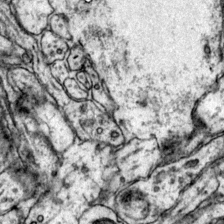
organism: Mouse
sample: Primary visual cortex